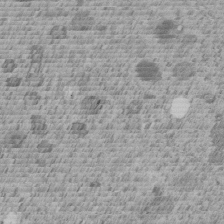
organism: C. elegans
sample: C. elegans embryo early stage